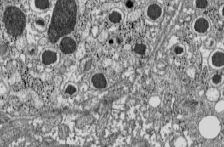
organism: C57BL Mouse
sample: Pancreatic islet